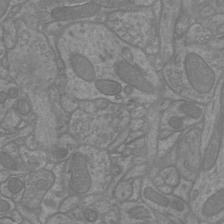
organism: Mouse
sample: Cortical neurons